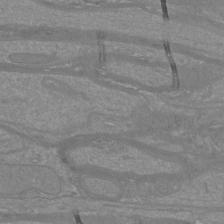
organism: Mouse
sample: Cortical neurons